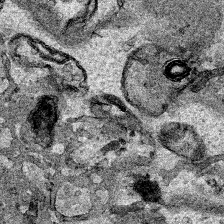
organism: Human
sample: Mitochondria in HCT116 cells